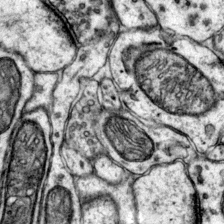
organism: Mouse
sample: Primary visual cortex